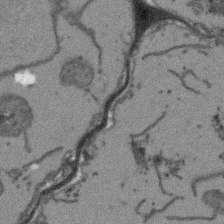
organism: Arabidopsis thaliana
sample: Root tip